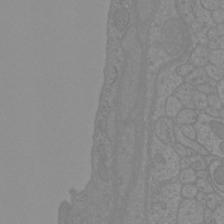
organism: Mouse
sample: Cortical neurons